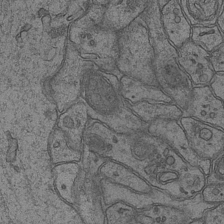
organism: Mouse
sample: CA1 Hippocampus